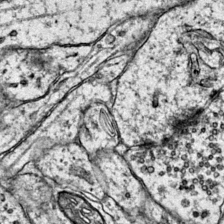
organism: Mouse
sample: Primary visual cortex